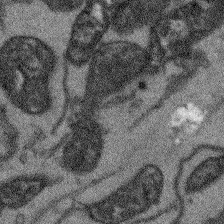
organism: Arabidopsis thaliana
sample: Root tip